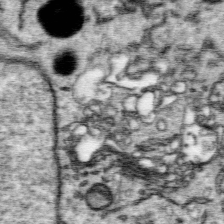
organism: Human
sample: HeLa cells